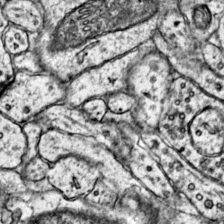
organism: Mouse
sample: Primary visual cortex